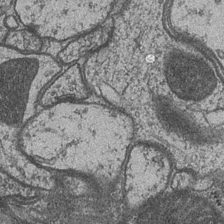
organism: Drosophila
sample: Optic medulla